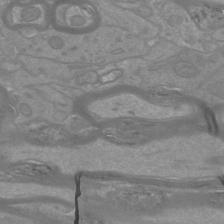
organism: Mouse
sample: Cortical neurons